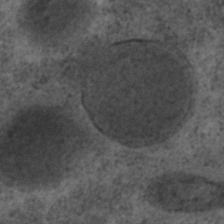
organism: C. elegans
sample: C. elegans embryo